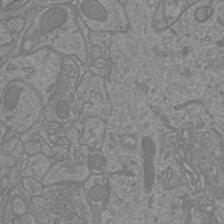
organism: Mouse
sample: Cortical neurons